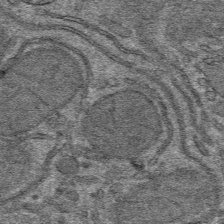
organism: Mouse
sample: Mouse hepatocytes